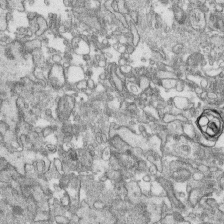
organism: Human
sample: CRL-1474